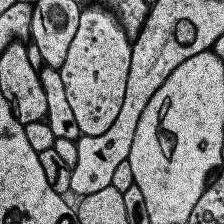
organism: Human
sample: Temporal Lobe